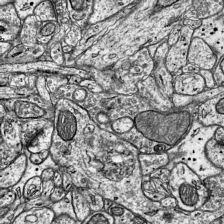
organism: Mouse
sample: Visual Cortex